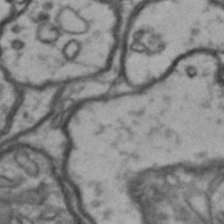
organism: Drosophila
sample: Brain